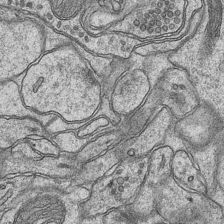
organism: Mouse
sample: CA1 Hippocampus